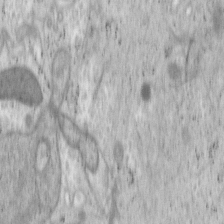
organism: Human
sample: HeLa cells